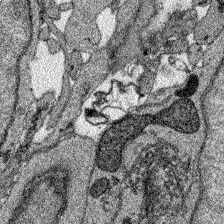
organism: Zebrafish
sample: Larval olfactory bulb